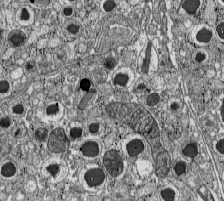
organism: C57BL Mouse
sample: Pancreatic islet